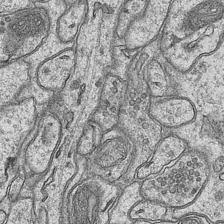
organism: Mouse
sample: CA1 Hippocampus